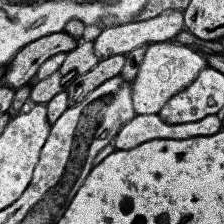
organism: Human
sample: Temporal Lobe